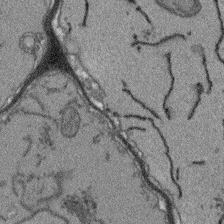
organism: Arabidopsis thaliana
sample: Root tip